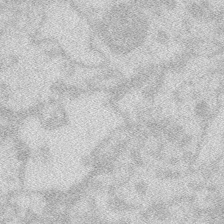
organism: Zebrafish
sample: Macrophage